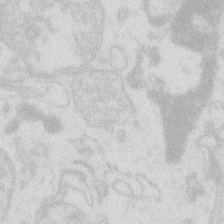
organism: Zebrafish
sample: Macrophage